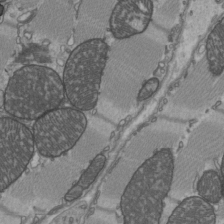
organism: C57BL Mouse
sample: Heart